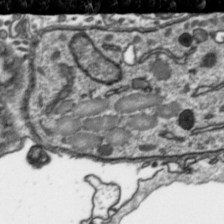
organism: Toxoplasma gondii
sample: Parasites in a vacuole inside a host cell